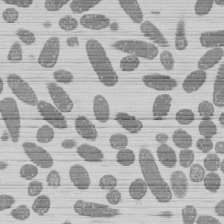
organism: E. coli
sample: Bacterial nucleoid